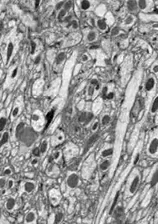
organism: Drosophila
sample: Optic lobe